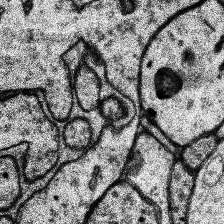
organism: Human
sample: Temporal Lobe